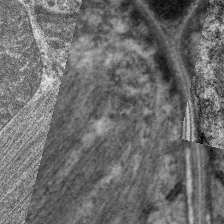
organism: C. elegans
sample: Pharynx